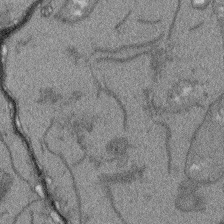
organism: Arabidopsis thaliana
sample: Root tip